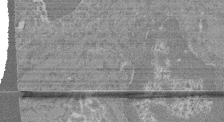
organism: Mouse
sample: Glomerulus